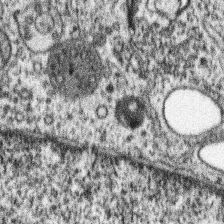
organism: Human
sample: HeLa cells